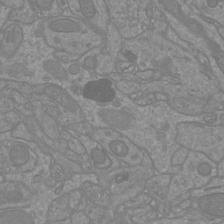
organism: Mouse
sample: Cortical neurons